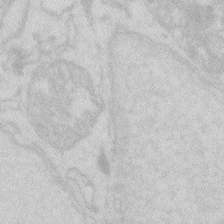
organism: Zebrafish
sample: Macrophage